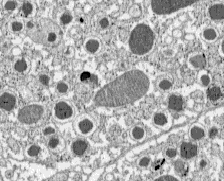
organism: C57BL Mouse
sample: Pancreatic islet